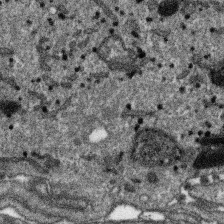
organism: Human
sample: Lung epithelial cells infected with SARS-CoV-2